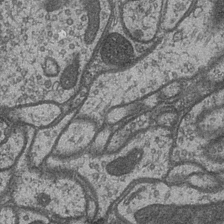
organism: Drosophila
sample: Optic medulla